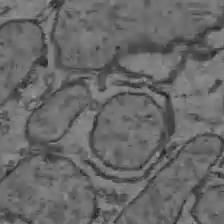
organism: C57BL Mouse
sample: Liver